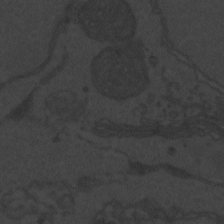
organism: Zebrafish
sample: Macrophage infected with Toxoplasma gondii